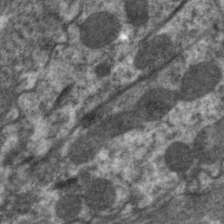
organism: C. elegans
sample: Pharynx